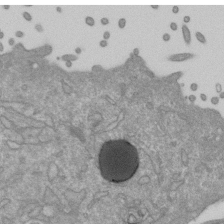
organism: Mouse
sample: ED-1 cell nuclei; centrioles